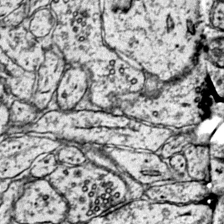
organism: Mouse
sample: Primary visual cortex